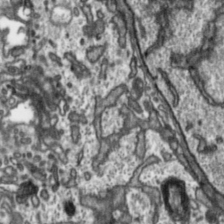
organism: Toxoplasma gondii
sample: Parasites in a vacuole inside a host cell